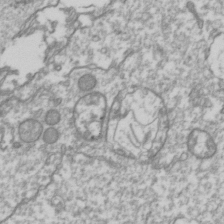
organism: Drosophila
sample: Cell division; meiosis; drosophila spermatocytes